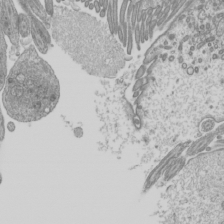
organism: Mouse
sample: Cilia; mouse epididymis